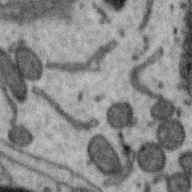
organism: Zebra finch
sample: Brain